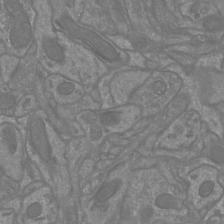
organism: Mouse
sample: Cortical neurons